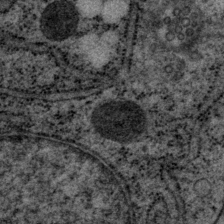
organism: P. pacificus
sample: Pharynx